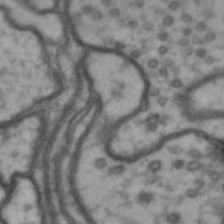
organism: Drosophila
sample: Brain